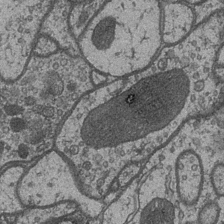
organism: Drosophila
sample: Optic medulla